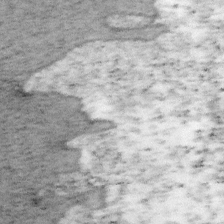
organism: Mouse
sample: OT-I killer T cells with ID8 ovarian cancer cells